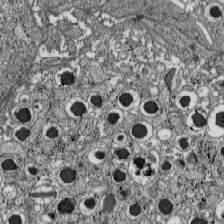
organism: C57BL Mouse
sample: Pancreatic islet